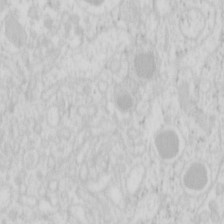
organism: Mouse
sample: Pancreas